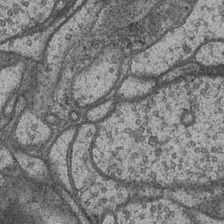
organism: Drosophila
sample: Optic medulla